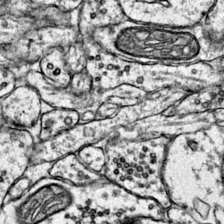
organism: Mouse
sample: Primary visual cortex